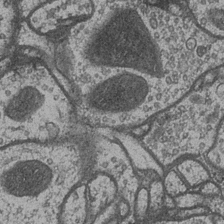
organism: Drosophila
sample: Optic medulla